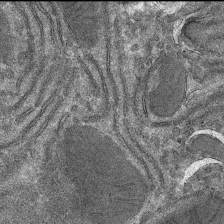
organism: Mouse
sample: Mouse hepatocytes